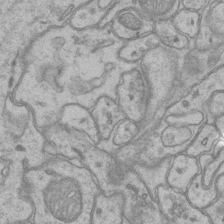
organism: Mouse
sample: CA1 Hippocampus